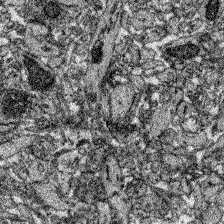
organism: Zebrafish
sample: Larval olfactory bulb